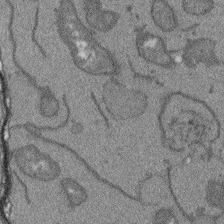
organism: Arabidopsis thaliana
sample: Root tip